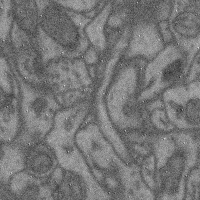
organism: Mouse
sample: Cerebral cortex